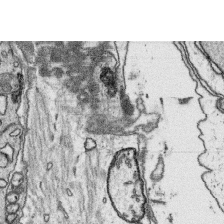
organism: Platynereis dumerilii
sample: Parapodia